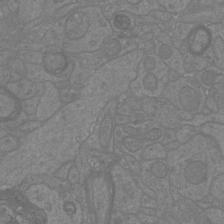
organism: Mouse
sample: Cortical neurons